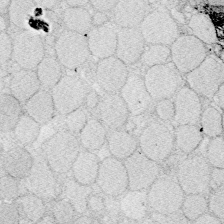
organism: Zebrafish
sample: Whole-Brain